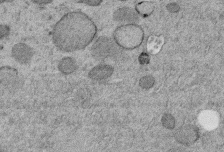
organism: C. elegans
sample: C. elegans embryo early stage